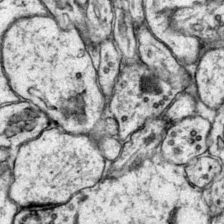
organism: Mouse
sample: Primary visual cortex